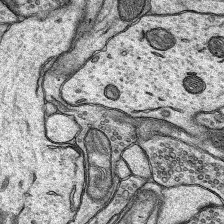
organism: Rat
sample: Hippocampus